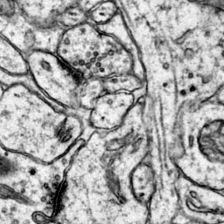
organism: Mouse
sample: Primary visual cortex